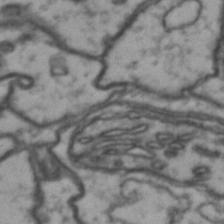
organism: Drosophila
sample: Brain